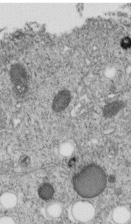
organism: C. elegans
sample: C. elegans embryo early stage